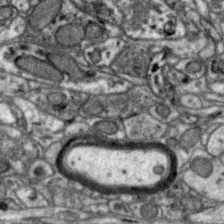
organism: Zebra finch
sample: Brain